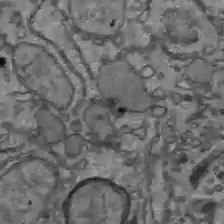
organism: C57BL Mouse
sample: Liver